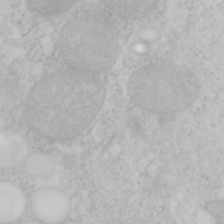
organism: Mouse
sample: OT-I killer T cells with ID8 ovarian cancer cells